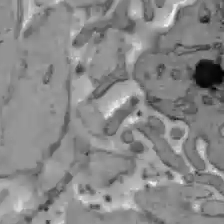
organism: C57BL Mouse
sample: Liver